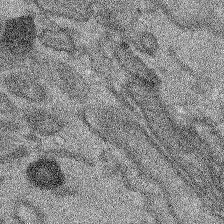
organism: Human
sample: HeLa cells